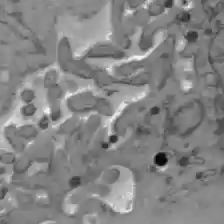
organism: C57BL Mouse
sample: Liver